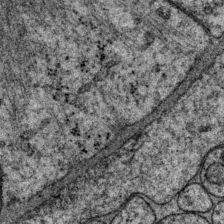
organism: P. pacificus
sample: Pharynx